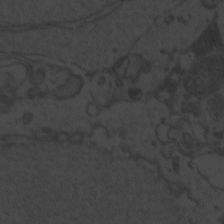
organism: Zebrafish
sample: Macrophage infected with Toxoplasma gondii